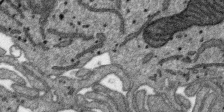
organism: Human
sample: Lung epithelial cells, uninfected (mock) control